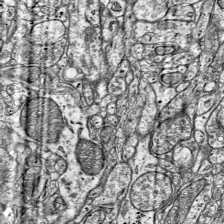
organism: Mouse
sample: Visual Cortex